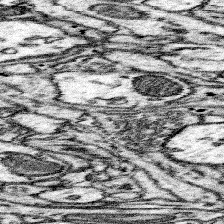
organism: Mouse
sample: Somatosensory cortex neuropil